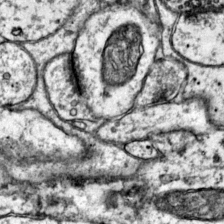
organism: Mouse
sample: Primary visual cortex